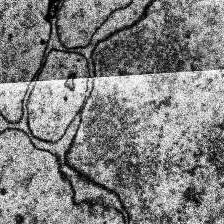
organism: Human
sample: Temporal Lobe